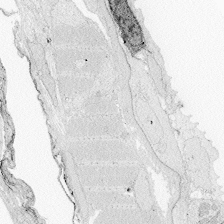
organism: Zebrafish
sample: Whole-Brain